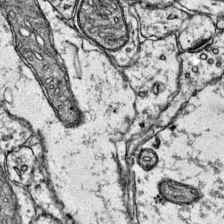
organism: Mouse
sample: Primary visual cortex